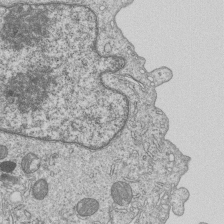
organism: Human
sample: MDA-MB-231 cells